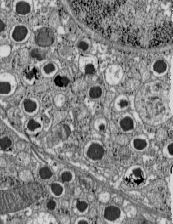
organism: C57BL Mouse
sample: Pancreatic islet